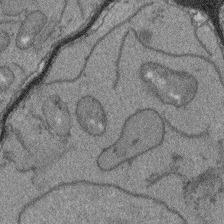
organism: Arabidopsis thaliana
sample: Root tip